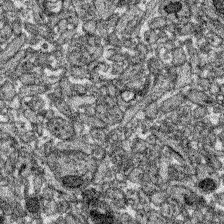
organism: Zebrafish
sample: Larval olfactory bulb